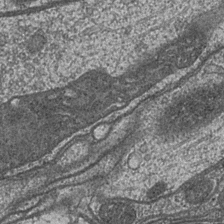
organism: Drosophila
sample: Optic medulla